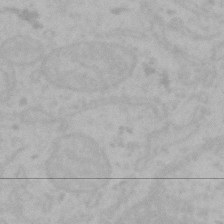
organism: Mouse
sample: Choroid plexus